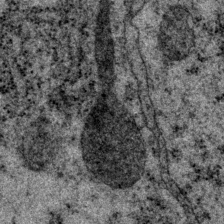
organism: P. pacificus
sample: Pharynx